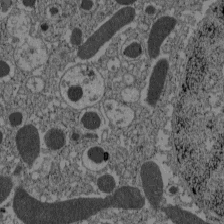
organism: C57BL Mouse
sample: Pancreatic islet